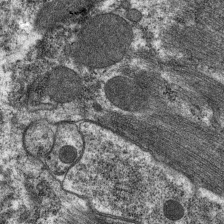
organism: C. elegans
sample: Pharynx